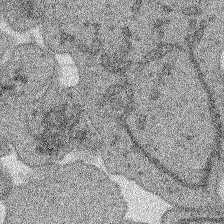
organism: Human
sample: HeLa cells